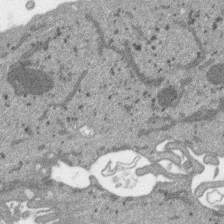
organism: Human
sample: Lung epithelial cells infected with SARS-CoV-2